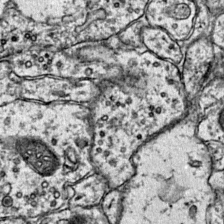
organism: Mouse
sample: Primary visual cortex